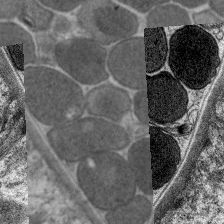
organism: C. elegans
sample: Pharynx